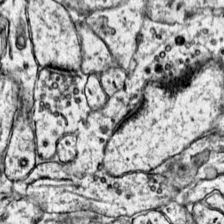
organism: Mouse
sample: Primary visual cortex